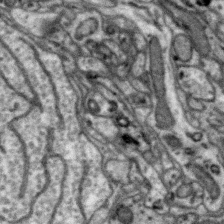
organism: Zebra finch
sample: Brain